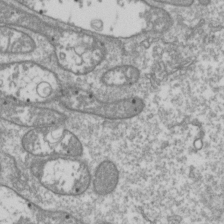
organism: Drosophila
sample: Cell division; meiosis; drosophila spermatocytes